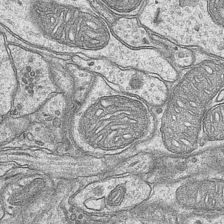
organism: Mouse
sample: CA1 Hippocampus